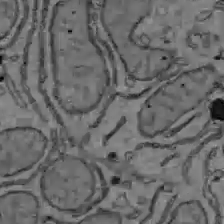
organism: C57BL Mouse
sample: Liver